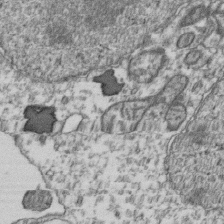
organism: Human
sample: Activated Jurkat CD4+ T cells